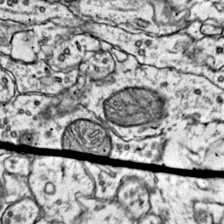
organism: Mouse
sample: Primary visual cortex